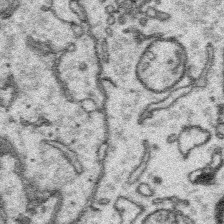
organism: Platynereis dumerilii